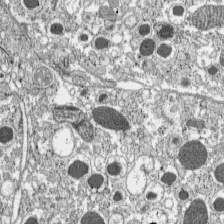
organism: C57BL Mouse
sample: Pancreatic islet